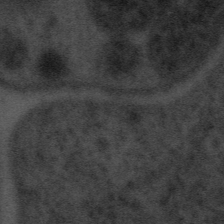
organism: Tuwongella immobilis